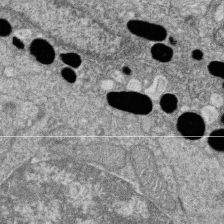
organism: Zebrafish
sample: Cilia; retinal pigment epithelium